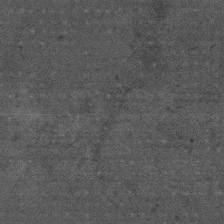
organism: Mouse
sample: Centriole in ependymal cells